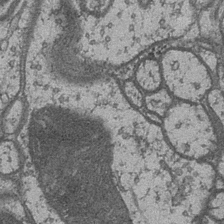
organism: Drosophila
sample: Optic medulla